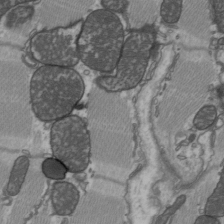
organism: C57BL Mouse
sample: Heart